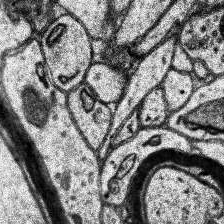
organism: Human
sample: Temporal Lobe